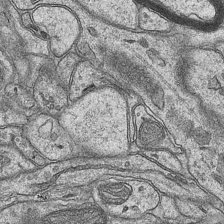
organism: Mouse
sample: CA1 Hippocampus